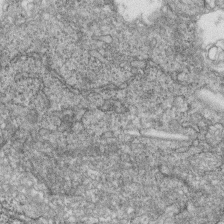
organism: Zebrafish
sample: Cilia; retinal pigment epithelium